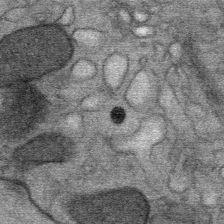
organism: Mouse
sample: Mouse Salivary gland